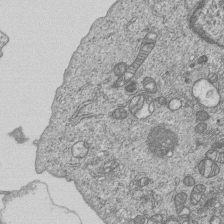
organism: Human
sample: MDA-MB-231 cells